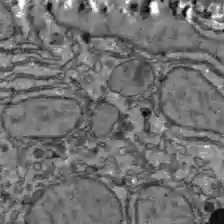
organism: C57BL Mouse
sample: Liver